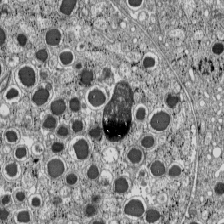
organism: C57BL Mouse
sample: Pancreatic islet